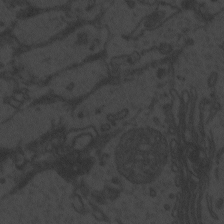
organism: Zebrafish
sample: Macrophage infected with Toxoplasma gondii